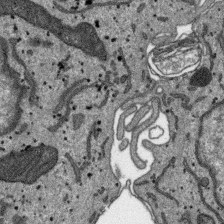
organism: Human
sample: Lung epithelial cells, uninfected (mock) control